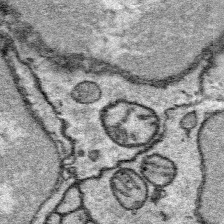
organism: Platynereis dumerilii